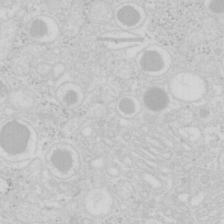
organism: Mouse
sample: Pancreas